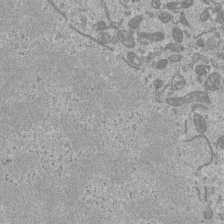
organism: Mouse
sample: ED-1 cell nuclei; centrioles